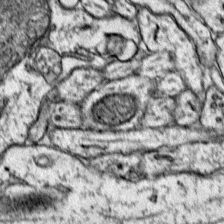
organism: Mouse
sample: Primary visual cortex